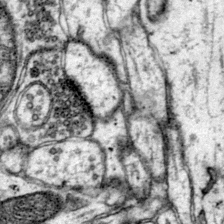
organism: Mouse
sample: Primary visual cortex